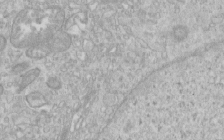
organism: Human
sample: Centriole in RPE cells